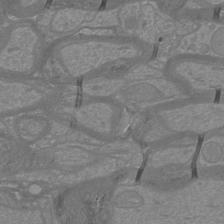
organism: Mouse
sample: Cortical neurons